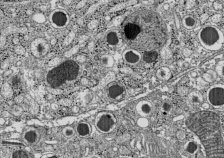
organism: C57BL Mouse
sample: Pancreatic islet